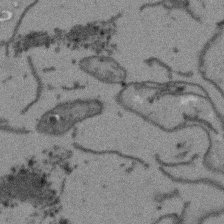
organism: Arabidopsis thaliana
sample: Root tip